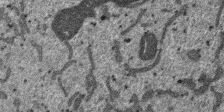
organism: Human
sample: Lung epithelial cells infected with SARS-CoV-2